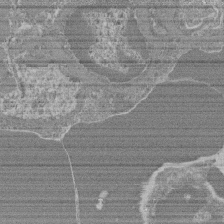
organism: Mouse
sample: Glomerulus